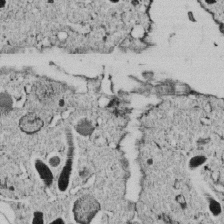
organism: C. elegans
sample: C. elegans embryo early stage